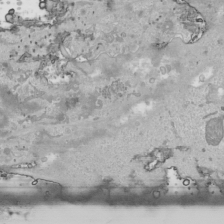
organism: Human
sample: Mitochondria in HCT116 cells